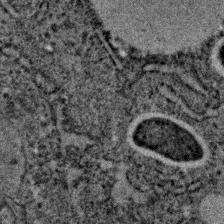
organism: C. elegans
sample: C. elegans embryo